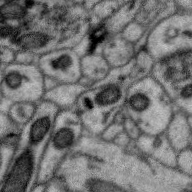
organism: Zebra finch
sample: Brain